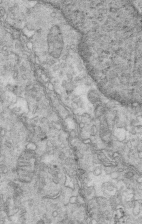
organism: Mouse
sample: Multiciliated cells